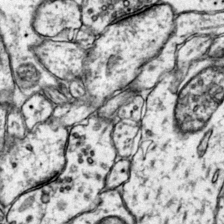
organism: Mouse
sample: Primary visual cortex